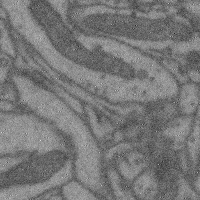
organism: Mouse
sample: Cerebral cortex